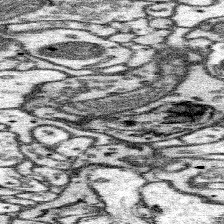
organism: Mouse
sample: Somatosensory cortex neuropil